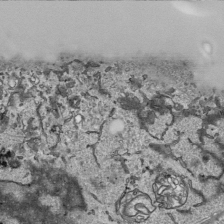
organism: Human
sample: Mitochondria in HCT116 cells